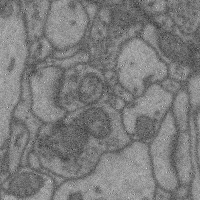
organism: Mouse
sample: Cerebral cortex